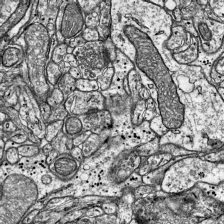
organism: Mouse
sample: Visual Cortex